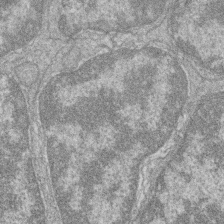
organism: Zebrafish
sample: Cilia; retinal pigment epithelium